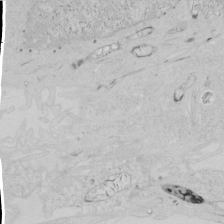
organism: Human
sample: Mitochondria in HCT116 cells